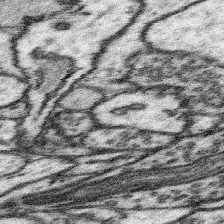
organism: Mouse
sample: Somatosensory cortex neuropil